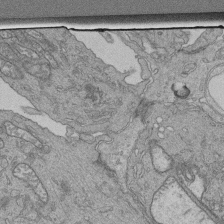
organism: Human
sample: Retinal organoid Rod and Cone cells